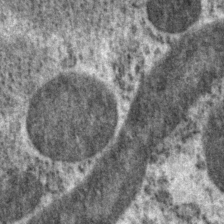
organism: P. pacificus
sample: Pharynx